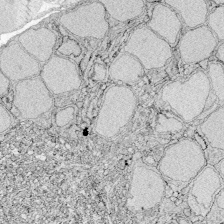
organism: Zebrafish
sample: Whole-Brain